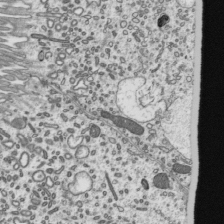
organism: Mouse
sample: Mouse epididymis efferent ductule cilia